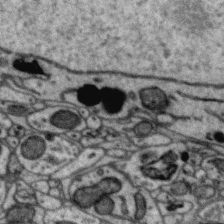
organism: Zebra finch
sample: Brain